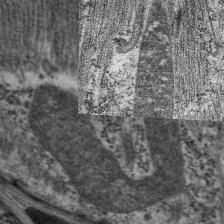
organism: C. elegans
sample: Pharynx